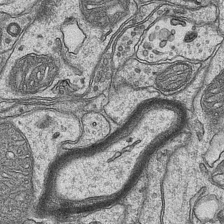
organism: Mouse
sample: CA1 Hippocampus